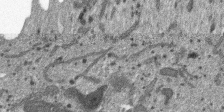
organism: Human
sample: Lung epithelial cells infected with SARS-CoV-2